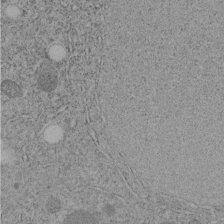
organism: C. elegans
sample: C. elegans embryo early stage